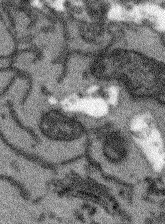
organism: Arabidopsis thaliana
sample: Root tip